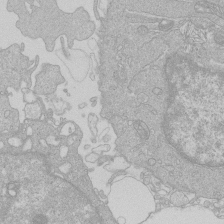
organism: Human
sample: Macrophage cells